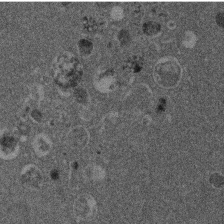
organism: Mouse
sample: Dividing mouse embryo 1 cell stage